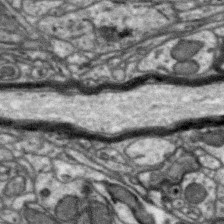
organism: Zebra finch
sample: Brain